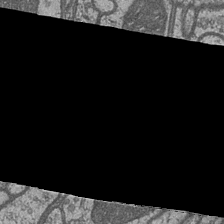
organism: Drosophila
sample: Optic medulla